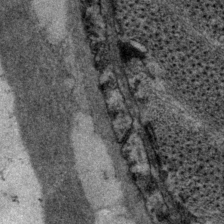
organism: P. pacificus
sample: Pharynx